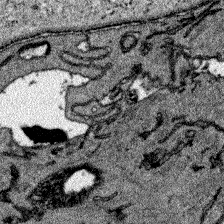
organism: Zebrafish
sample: Larval olfactory bulb